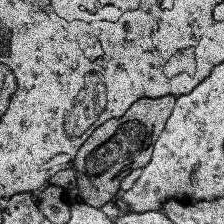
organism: Human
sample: Temporal Lobe